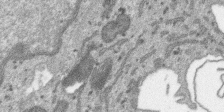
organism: Human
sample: Lung epithelial cells infected with SARS-CoV-2